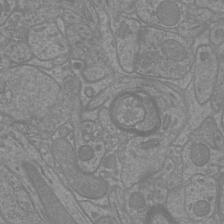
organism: Mouse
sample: Cortical neurons